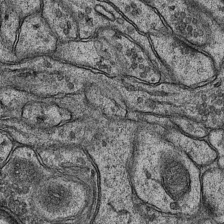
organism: Mouse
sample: CA1 Hippocampus